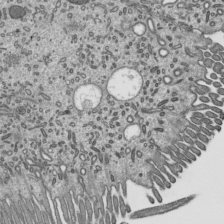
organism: Mouse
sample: Mouse epididymis efferent ductule cilia